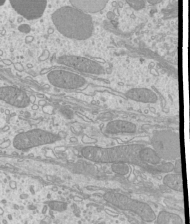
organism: Mouse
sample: Cilia; mouse epididymis